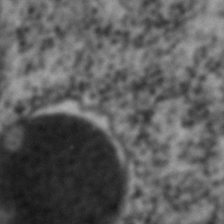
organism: C. elegans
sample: C. elegans embryo